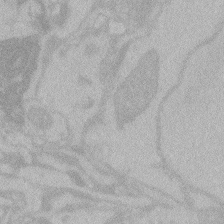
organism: Zebrafish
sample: Macrophage infected with Toxoplasma gondii